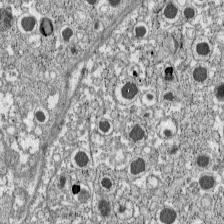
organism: C57BL Mouse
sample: Pancreatic islet